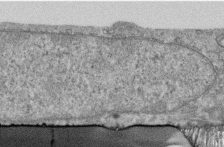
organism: Human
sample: Centriole in RPE cells